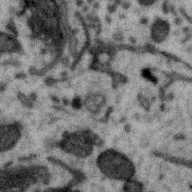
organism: Zebra finch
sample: Brain